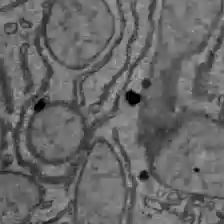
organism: C57BL Mouse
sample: Liver